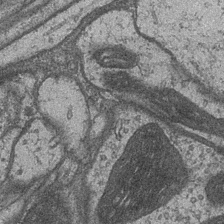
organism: Drosophila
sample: Optic medulla